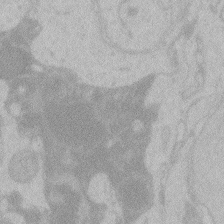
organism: Zebrafish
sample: Macrophage infected with Toxoplasma gondii